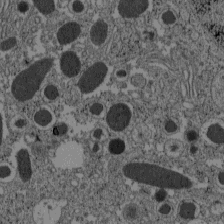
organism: C57BL Mouse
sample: Pancreatic islet